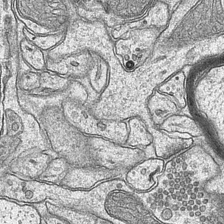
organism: Mouse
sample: CA1 Hippocampus